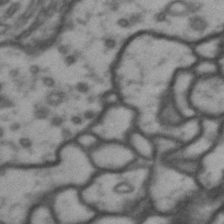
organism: Drosophila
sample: Brain